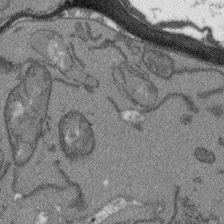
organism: Arabidopsis thaliana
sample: Root tip